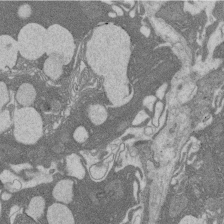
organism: Rat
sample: Salivary granule